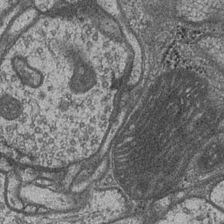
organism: Drosophila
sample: Optic medulla